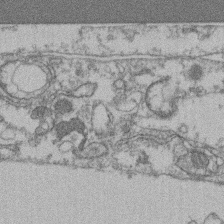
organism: Mouse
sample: T cell stromal cell synapse